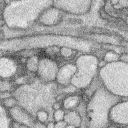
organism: Rabbit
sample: Retina